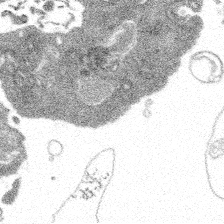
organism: Spongilla lacustris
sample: Multiple